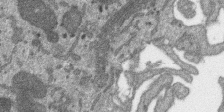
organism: Human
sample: Lung epithelial cells infected with SARS-CoV-2